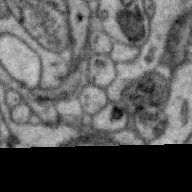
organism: Zebra finch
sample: Brain